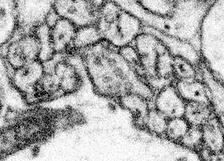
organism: Mouse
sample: Somatosensory cortex neuropil